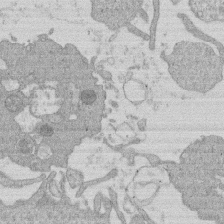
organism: Human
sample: Macrophage cells